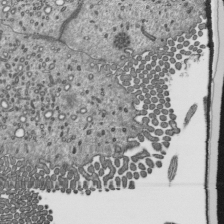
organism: Mouse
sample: Mouse epididymis efferent ductule cilia